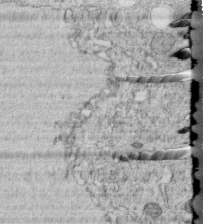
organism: C. elegans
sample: C. elegans embryo early stage